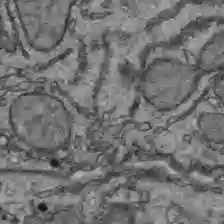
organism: C57BL Mouse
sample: Liver